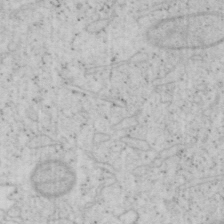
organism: Human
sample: HeLa cells